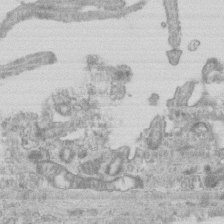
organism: Mouse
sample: Centriole in ependymal cells